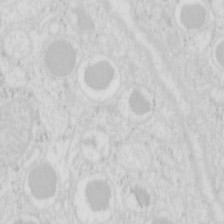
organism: Mouse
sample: Pancreas